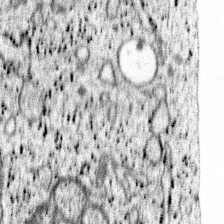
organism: Human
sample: HeLa cells